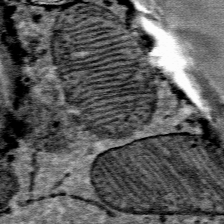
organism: Mouse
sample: Mouse Salivary gland